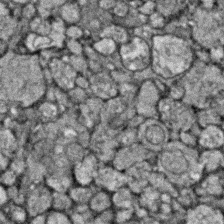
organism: Zebrafish